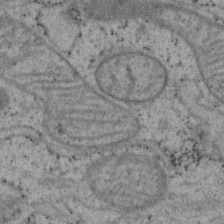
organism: Human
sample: HeLa cells